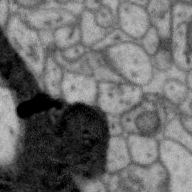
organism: Zebra finch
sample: Brain